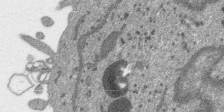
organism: Human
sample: Lung epithelial cells infected with SARS-CoV-2